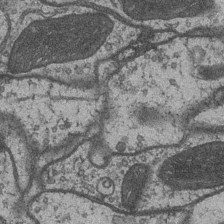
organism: Drosophila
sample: Optic medulla